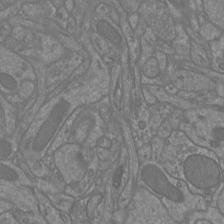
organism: Mouse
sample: Cortical neurons